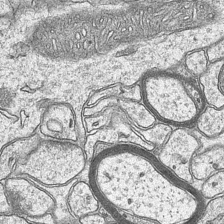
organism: Mouse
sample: CA1 Hippocampus